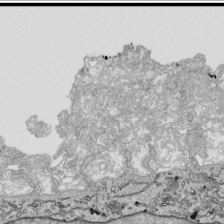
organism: Human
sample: Mitochondria in HCT116 cells